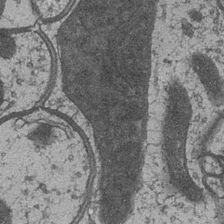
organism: Drosophila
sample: Optic medulla